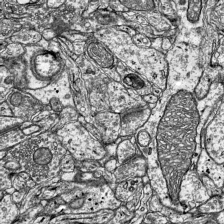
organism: Mouse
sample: Visual Cortex